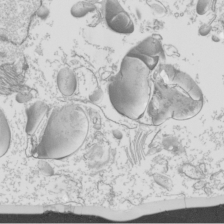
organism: Mouse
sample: Cilia; mouse epididymis